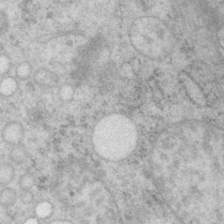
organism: P. pacificus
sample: Pharynx